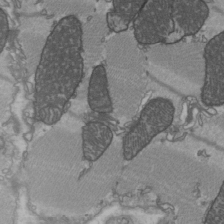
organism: C57BL Mouse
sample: Heart